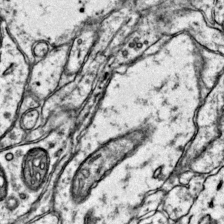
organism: Mouse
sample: Primary visual cortex